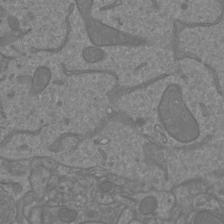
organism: Mouse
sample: Cortical neurons